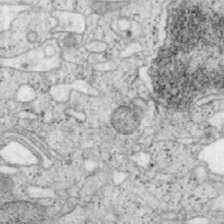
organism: Mouse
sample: OT-I killer T cells with ID8 ovarian cancer cells